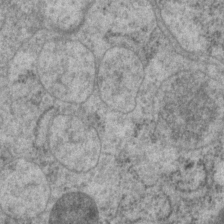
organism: P. pacificus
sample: Pharynx